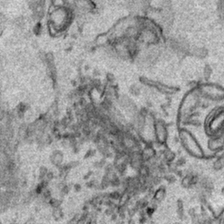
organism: Human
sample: Mitochondria in HCT116 cells